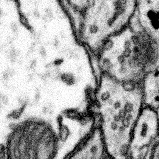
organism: Mouse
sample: Somatosensory cortex neuropil